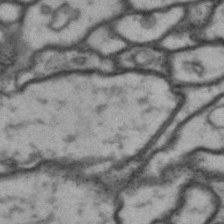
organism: Drosophila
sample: Brain